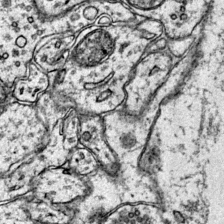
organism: Mouse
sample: Primary visual cortex